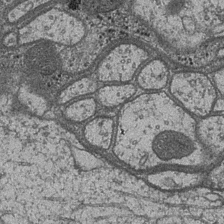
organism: Drosophila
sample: Optic medulla